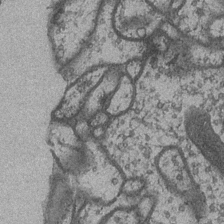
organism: Drosophila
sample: Optic medulla